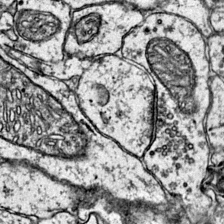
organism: Mouse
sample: Primary visual cortex